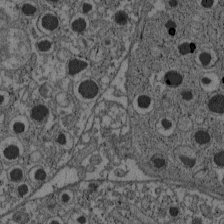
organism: C57BL Mouse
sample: Pancreatic islet